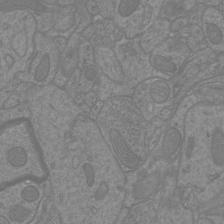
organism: Mouse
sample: Cortical neurons